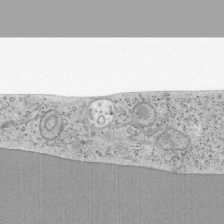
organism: Human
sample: HeLa cells